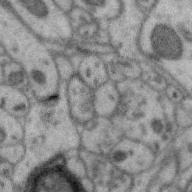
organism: Zebra finch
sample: Brain